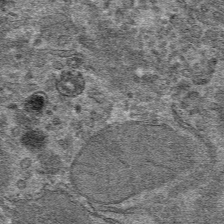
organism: Mouse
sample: Mouse hepatocytes